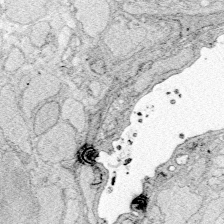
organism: Zebrafish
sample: Whole-Brain